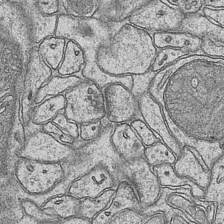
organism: Mouse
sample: CA1 Hippocampus